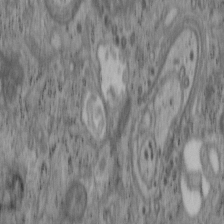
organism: Human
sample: HeLa cells